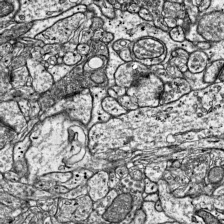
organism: Mouse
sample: Visual Cortex